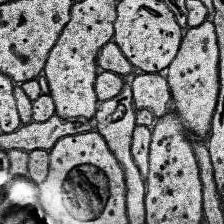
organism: Human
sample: Temporal Lobe